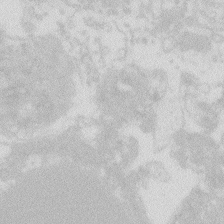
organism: Zebrafish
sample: Macrophage